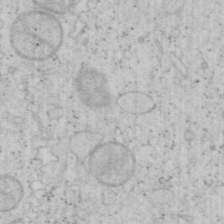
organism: Human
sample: HeLa cells